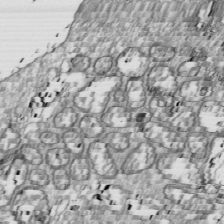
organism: Drosophila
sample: Cell division; meiosis; drosophila spermatocytes